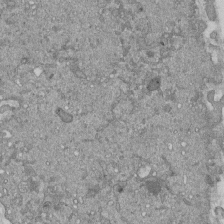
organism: Mouse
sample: ED-1 cell nuclei; centrioles